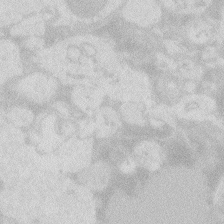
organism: Zebrafish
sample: Macrophage